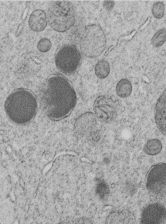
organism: C. elegans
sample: C. elegans embryo early stage